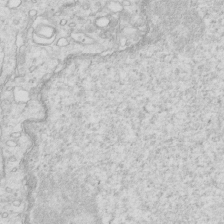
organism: Mouse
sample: Multiciliated cells